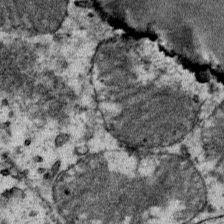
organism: Mouse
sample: Mouse Salivary gland